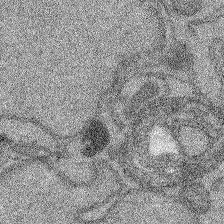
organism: Human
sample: HeLa cells